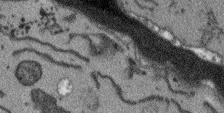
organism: Arabidopsis thaliana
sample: Root tip